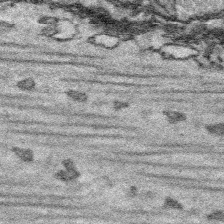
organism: Platynereis dumerilii